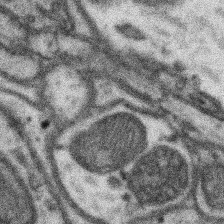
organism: Mouse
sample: Somatosensory cortex neuropil